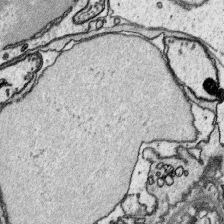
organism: Platynereis dumerilii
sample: Parapodia